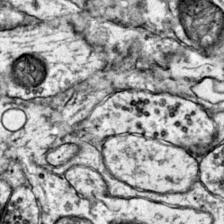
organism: Mouse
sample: Primary visual cortex